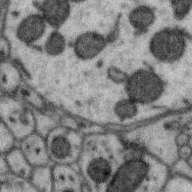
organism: Zebra finch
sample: Brain